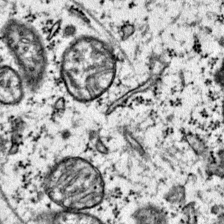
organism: Mouse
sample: Primary visual cortex